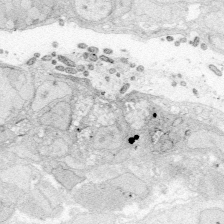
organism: Zebrafish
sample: Whole-Brain